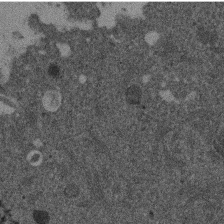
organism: Mouse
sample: Dividing mouse embryo 1 cell stage